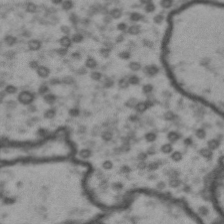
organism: Drosophila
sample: Brain